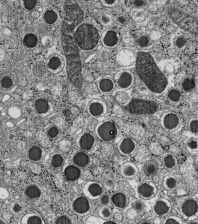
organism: C57BL Mouse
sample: Pancreatic islet